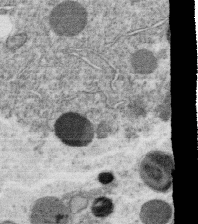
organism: C. elegans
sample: C. elegans oocyte; sperm cells